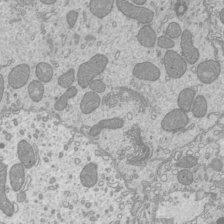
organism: Mouse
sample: Cilia; mouse epididymis